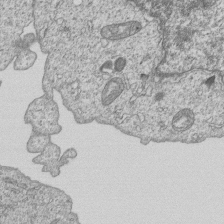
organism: Human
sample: MDA-MB-231 cells